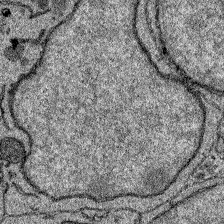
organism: Zebrafish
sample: Larval olfactory bulb